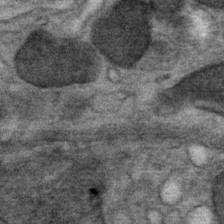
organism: Mouse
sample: Mouse Salivary gland